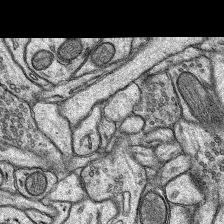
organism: Rat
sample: Hippocampus